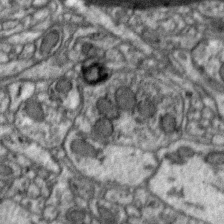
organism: Zebra finch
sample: Brain